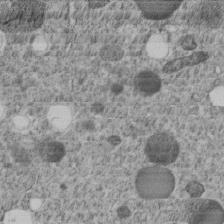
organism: C. elegans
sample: C. elegans embryo early stage